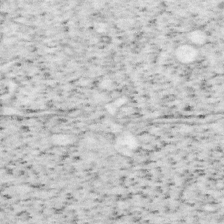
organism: Mouse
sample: OT-I killer T cells with ID8 ovarian cancer cells